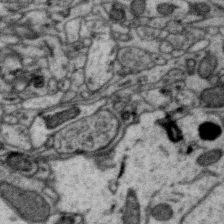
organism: Zebra finch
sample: Brain